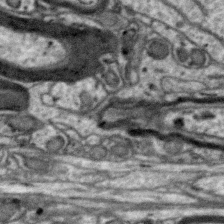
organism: Zebra finch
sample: Brain